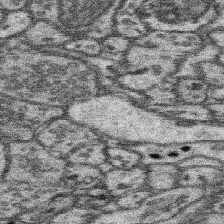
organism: Mouse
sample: Somatosensory cortex neuropil